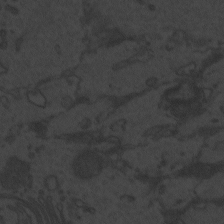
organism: Zebrafish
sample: Macrophage infected with Toxoplasma gondii